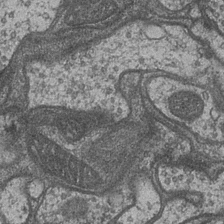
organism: Drosophila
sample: Optic medulla